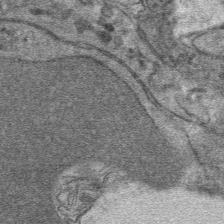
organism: Mouse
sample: Mouse hepatocytes